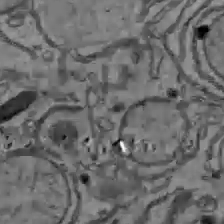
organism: C57BL Mouse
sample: Liver